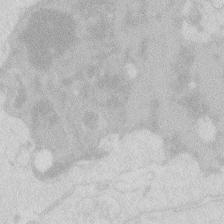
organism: Zebrafish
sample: Macrophage